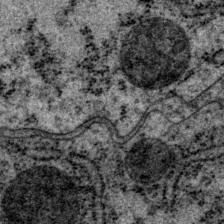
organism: P. pacificus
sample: Pharynx